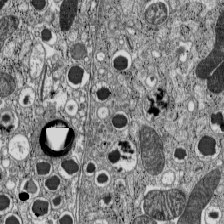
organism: C57BL Mouse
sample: Pancreatic islet